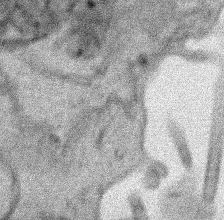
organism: Human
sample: Mitochondria in HCT116 cells